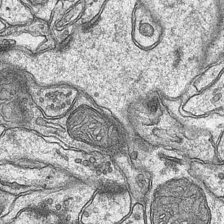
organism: Mouse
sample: CA1 Hippocampus